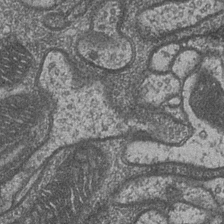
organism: Drosophila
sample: Optic medulla